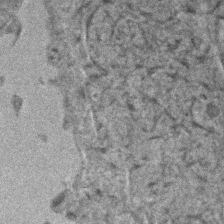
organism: Human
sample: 1205lu cells